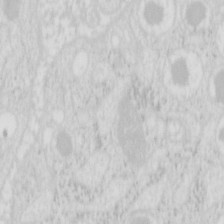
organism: Mouse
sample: Pancreas